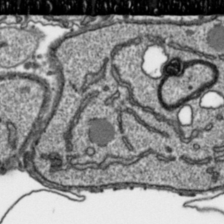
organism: Toxoplasma gondii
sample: Parasites in a vacuole inside a host cell